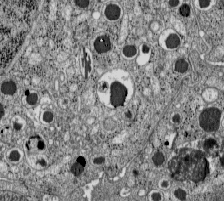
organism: C57BL Mouse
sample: Pancreatic islet